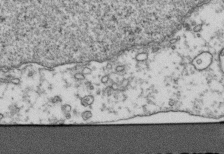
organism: Human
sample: Activated Jurkat CD4+ T cells